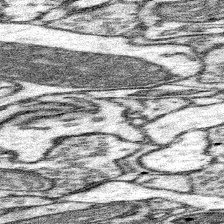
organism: Mouse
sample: Somatosensory cortex neuropil